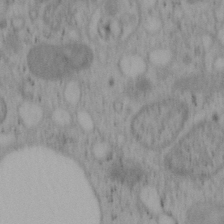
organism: Mouse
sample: OT-I killer T cells with ID8 ovarian cancer cells